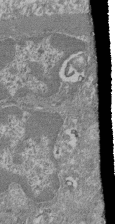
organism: Mouse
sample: Glomerulus